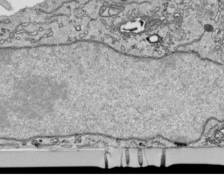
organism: Human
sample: Mitochondria in HCT116 cells